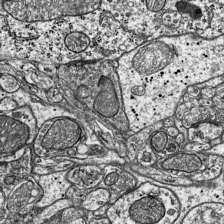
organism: Mouse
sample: Visual Cortex